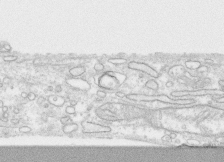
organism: Human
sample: CRL-1474